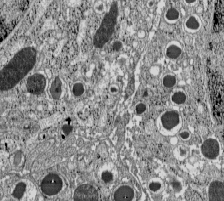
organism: C57BL Mouse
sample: Pancreatic islet